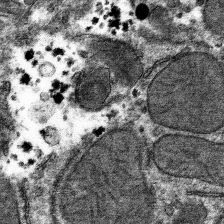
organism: Mouse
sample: Mouse hepatocytes